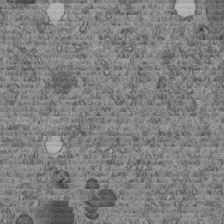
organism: C. elegans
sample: C. elegans embryo early stage